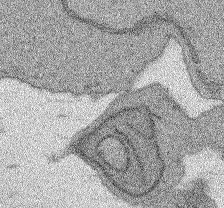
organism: Human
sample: HeLa cells